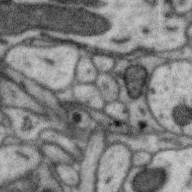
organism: Zebra finch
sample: Brain